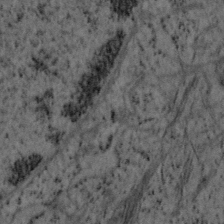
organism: Human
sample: HeLa cells